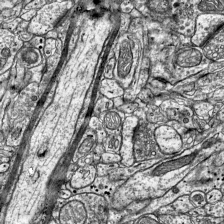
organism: Mouse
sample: Visual Cortex